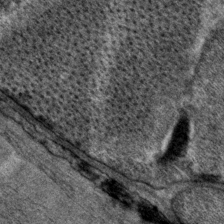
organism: P. pacificus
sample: Pharynx